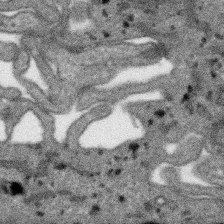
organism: Human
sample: Lung epithelial cells infected with SARS-CoV-2